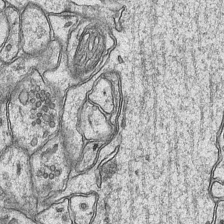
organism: Mouse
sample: CA1 Hippocampus